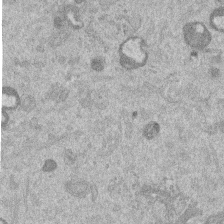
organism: Mouse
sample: Dividing mouse embryo 1 cell stage